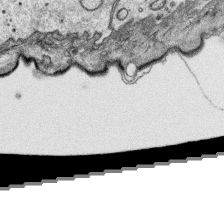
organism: Platynereis dumerilii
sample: Parapodia